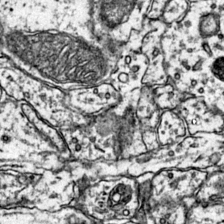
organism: Mouse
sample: Primary visual cortex